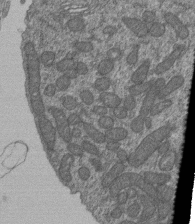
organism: Human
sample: Retinal organoid Rod and Cone cells